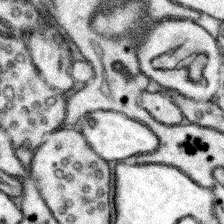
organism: Mouse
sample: Somatosensory cortex neuropil